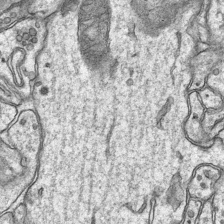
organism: Mouse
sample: CA1 Hippocampus